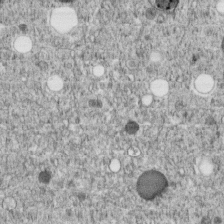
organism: C. elegans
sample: C. elegans embryo early stage